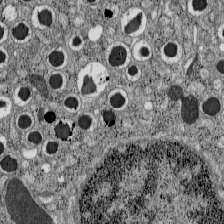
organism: C57BL Mouse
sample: Pancreatic islet